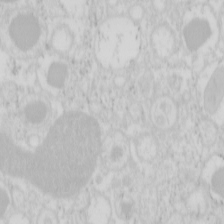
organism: Mouse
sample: Pancreas